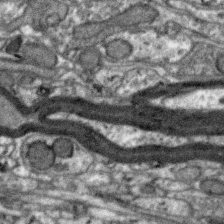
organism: Zebra finch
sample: Brain